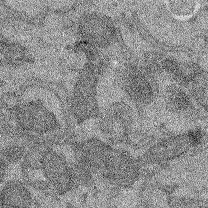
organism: Human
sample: HeLa cells